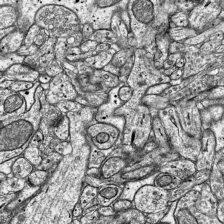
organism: Mouse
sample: Visual Cortex